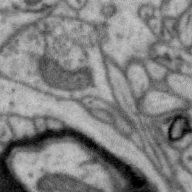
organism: Zebra finch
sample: Brain